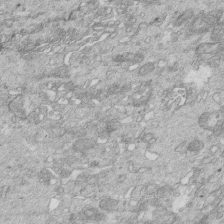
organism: Mouse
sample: Multiciliated cells